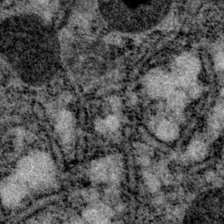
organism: P. pacificus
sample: Pharynx